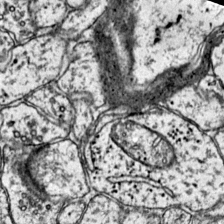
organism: Mouse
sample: Primary visual cortex